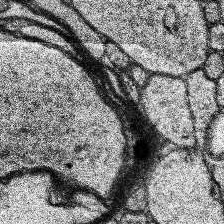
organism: Human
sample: Temporal Lobe